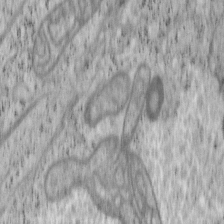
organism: Human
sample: HeLa cells